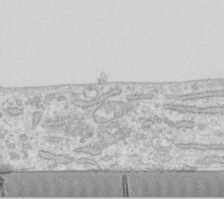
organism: Human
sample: Fibroblast cells